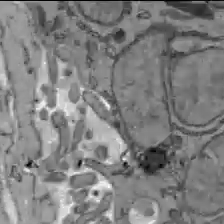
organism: C57BL Mouse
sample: Liver